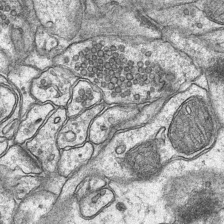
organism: Mouse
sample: CA1 Hippocampus